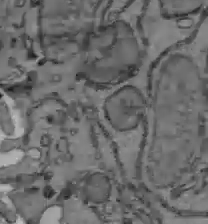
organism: C57BL Mouse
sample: Liver